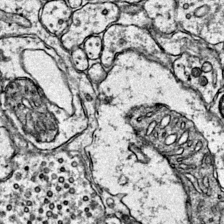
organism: Mouse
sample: Primary visual cortex